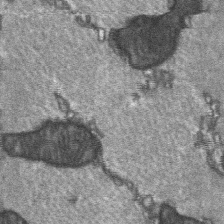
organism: C57BL Mouse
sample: Soleus